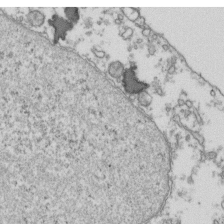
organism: Human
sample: Activated Jurkat CD4+ T cells